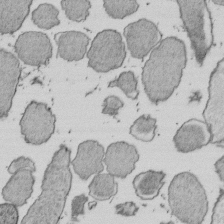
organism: E. coli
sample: Bacterial nucleoid